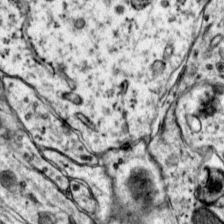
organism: Mouse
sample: Primary visual cortex